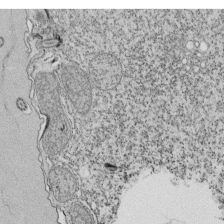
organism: Tetrahymena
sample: Cilia in tetrahymena